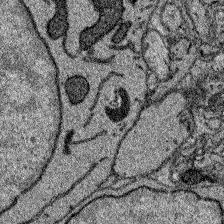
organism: Zebrafish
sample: Larval olfactory bulb